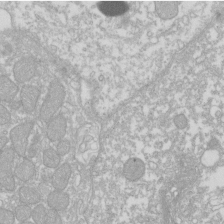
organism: Xenopus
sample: Cilia; centrioles in frog embryo cells